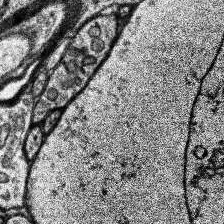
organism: Human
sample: Temporal Lobe